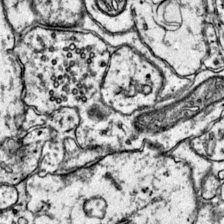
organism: Mouse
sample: Primary visual cortex